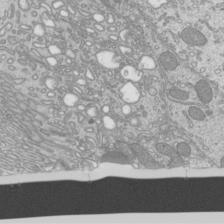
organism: Mouse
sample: Cilia; mouse epididymis